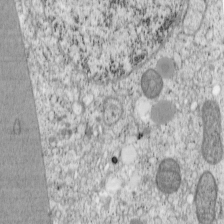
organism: African green monkey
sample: COS-7 cells